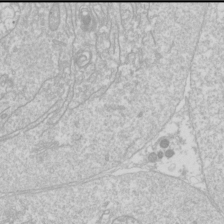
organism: Drosophila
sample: Cell division; meiosis; drosophila spermatocytes